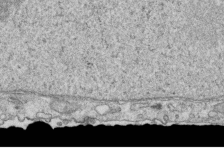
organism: Human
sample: HeLa cell HIV synapse